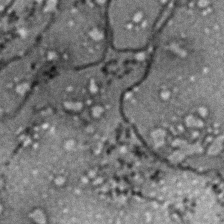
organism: Zebrafish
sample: Zebrafish embryo